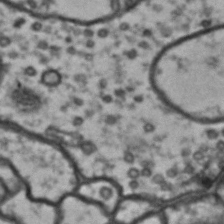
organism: Drosophila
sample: Brain